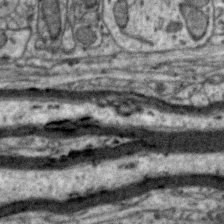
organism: Zebra finch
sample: Brain